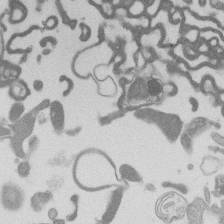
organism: Mouse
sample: Dividing mouse embryo 1 cell stage